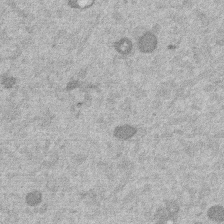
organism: Mouse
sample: Dividing mouse embryo 1 cell stage